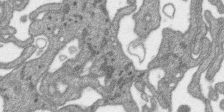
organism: Human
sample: Lung epithelial cells infected with SARS-CoV-2